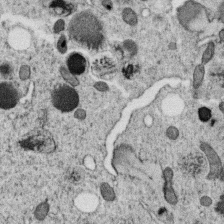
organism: C. elegans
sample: C. elegans oocyte; sperm cells